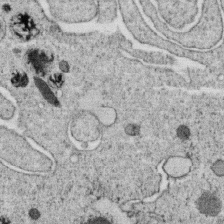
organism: C. elegans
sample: C. elegans oocyte; sperm cells